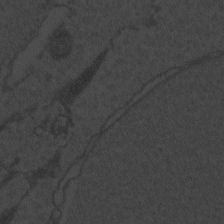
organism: Zebrafish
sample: Macrophage infected with Toxoplasma gondii